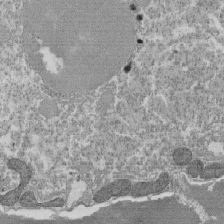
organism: Tetrahymena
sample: Cilia in tetrahymena